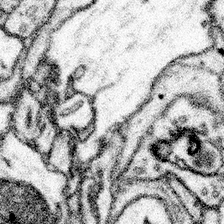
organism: Mouse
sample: Somatosensory cortex neuropil